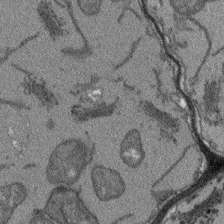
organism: Arabidopsis thaliana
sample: Root tip